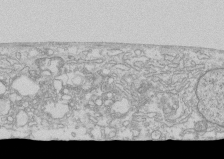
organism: Human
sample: CRL-1474